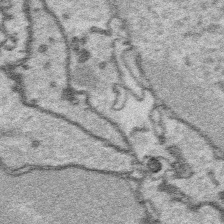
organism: Platynereis dumerilii